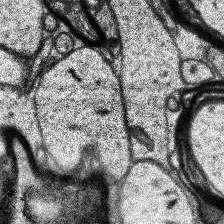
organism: Human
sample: Temporal Lobe